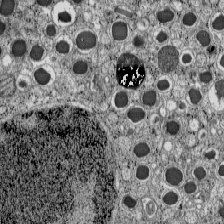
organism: C57BL Mouse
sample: Pancreatic islet